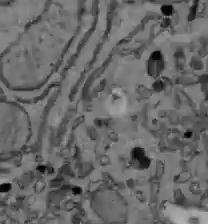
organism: C57BL Mouse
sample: Liver